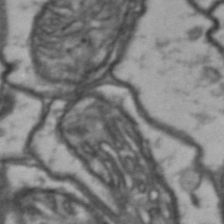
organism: Drosophila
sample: Brain